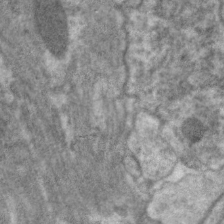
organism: C. elegans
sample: Pharynx